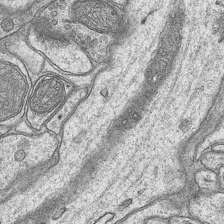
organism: Mouse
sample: CA1 Hippocampus